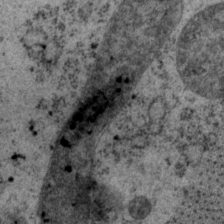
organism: P. pacificus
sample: Pharynx